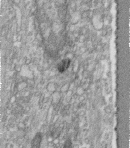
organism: Human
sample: Centriole in fibroblast cells